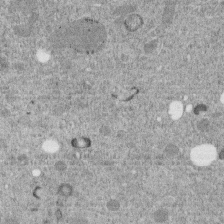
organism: C. elegans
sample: C. elegans embryo early stage